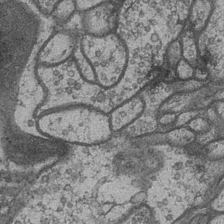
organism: Drosophila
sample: Optic medulla